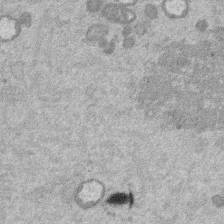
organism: Mouse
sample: Dividing mouse embryo 1 cell stage